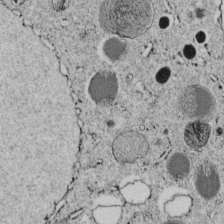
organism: C. elegans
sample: C. elegans embryo early stage